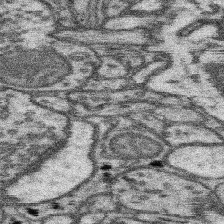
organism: Mouse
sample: Somatosensory cortex neuropil